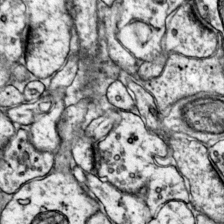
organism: Mouse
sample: Primary visual cortex